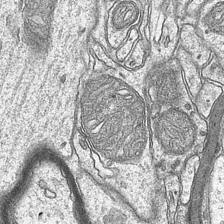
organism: Mouse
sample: CA1 Hippocampus